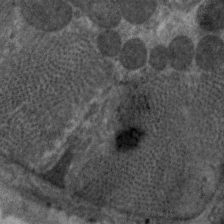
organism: C. elegans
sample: Pharynx